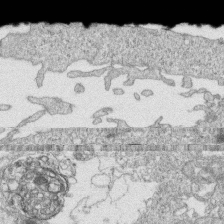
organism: Human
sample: HeLa cell HIV synapse